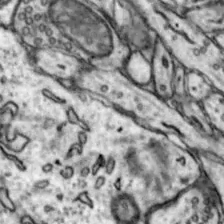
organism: Mouse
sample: Nucleus accumbens